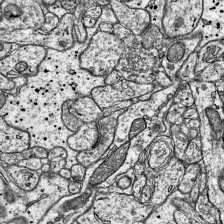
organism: Mouse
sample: Visual Cortex